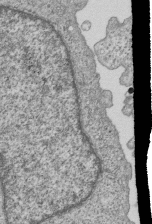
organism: Human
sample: MDA-MB-231 cells